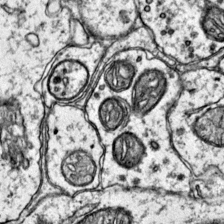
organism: Mouse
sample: Primary visual cortex